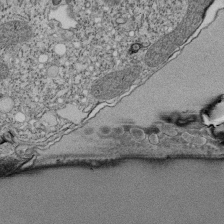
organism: Tetrahymena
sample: Cilia in tetrahymena